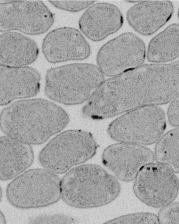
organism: E. coli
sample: Bacterial nucleoid